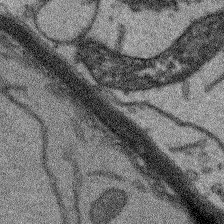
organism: Arabidopsis thaliana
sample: Root tip